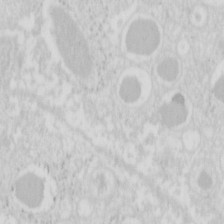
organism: Mouse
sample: Pancreas